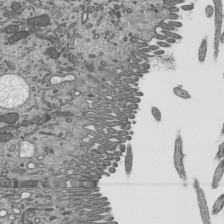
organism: Mouse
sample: Mouse epididymis efferent ductule cilia